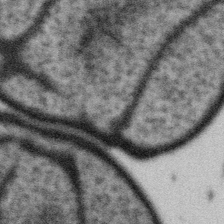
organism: Gemmata obscuriglobus